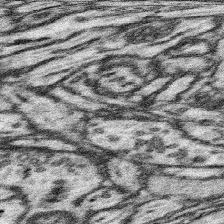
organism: Mouse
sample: Somatosensory cortex neuropil